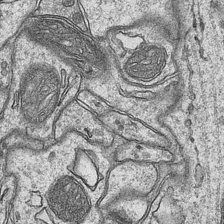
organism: Mouse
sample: CA1 Hippocampus